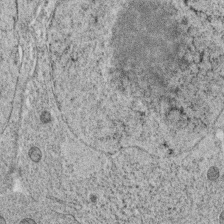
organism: C. elegans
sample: C. elegans oocyte; sperm cells